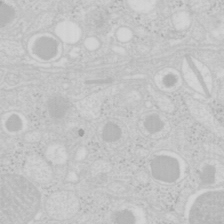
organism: Mouse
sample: Pancreas